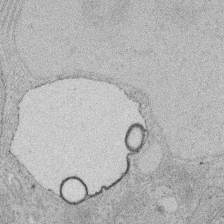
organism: Rat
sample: Salivary granule